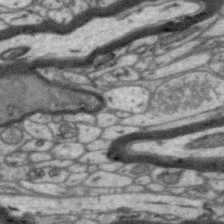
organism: Zebra finch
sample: Brain